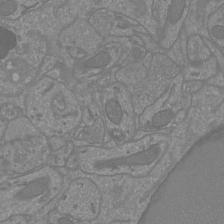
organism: Mouse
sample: Cortical neurons